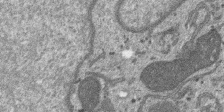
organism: Human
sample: Lung epithelial cells infected with SARS-CoV-2